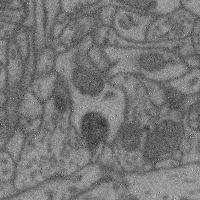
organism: Mouse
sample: Cerebral cortex